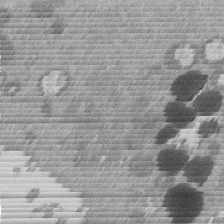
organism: Mouse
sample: Dividing mouse embryo 1 cell stage